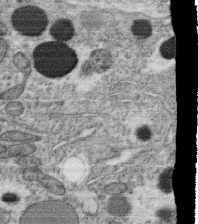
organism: C. elegans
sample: C. elegans oocyte; sperm cells